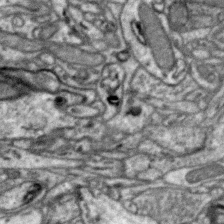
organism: Zebra finch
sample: Brain